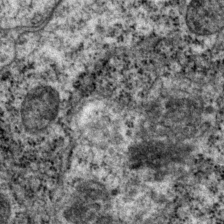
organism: P. pacificus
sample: Pharynx